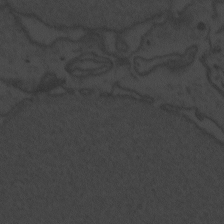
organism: Zebrafish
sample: Macrophage infected with Toxoplasma gondii